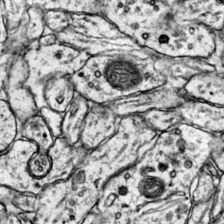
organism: Mouse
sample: Primary visual cortex